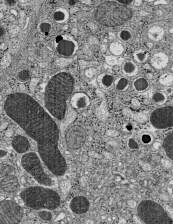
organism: C57BL Mouse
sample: Pancreatic islet